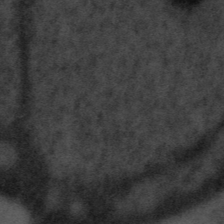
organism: Tuwongella immobilis